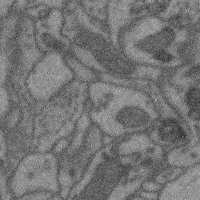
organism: Mouse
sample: Cerebral cortex